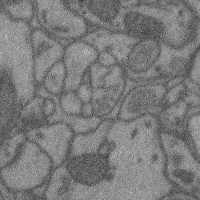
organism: Mouse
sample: Cerebral cortex